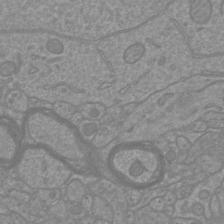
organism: Mouse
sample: Cortical neurons